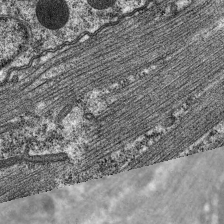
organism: C. elegans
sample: Pharynx